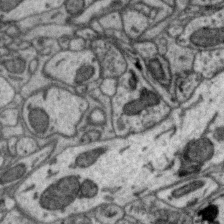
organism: Zebra finch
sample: Brain